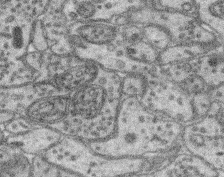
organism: Mouse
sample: Retina